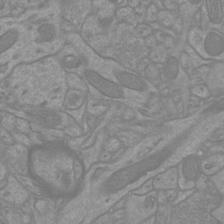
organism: Mouse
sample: Cortical neurons